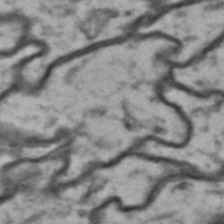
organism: Drosophila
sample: Brain